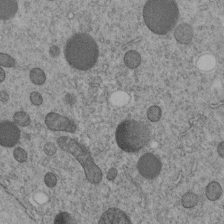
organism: C. elegans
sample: C. elegans embryo early stage